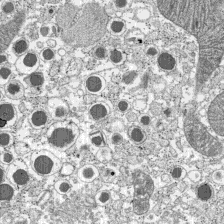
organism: C57BL Mouse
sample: Pancreatic islet